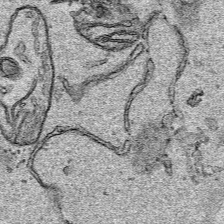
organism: Human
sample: Mitochondria in HCT116 cells